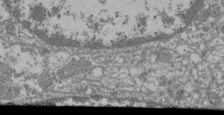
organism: Mouse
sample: Glomerulus